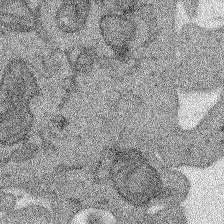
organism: Human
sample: HeLa cells